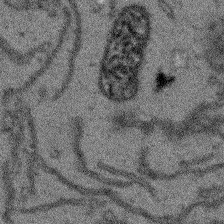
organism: Arabidopsis thaliana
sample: Root tip